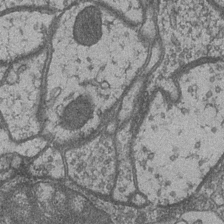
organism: Drosophila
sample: Optic medulla